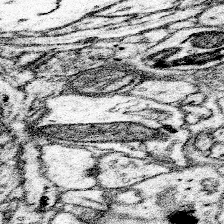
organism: Mouse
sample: Somatosensory cortex neuropil